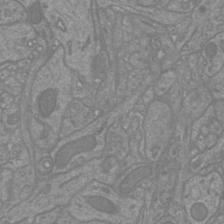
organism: Mouse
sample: Cortical neurons